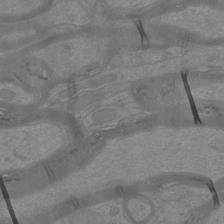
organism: Mouse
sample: Cortical neurons